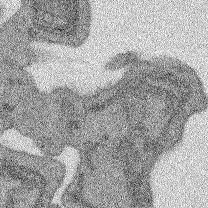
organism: Human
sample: HeLa cells